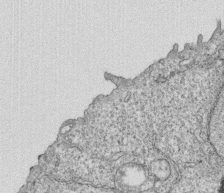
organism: Human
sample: HeLa cell HIV synapse